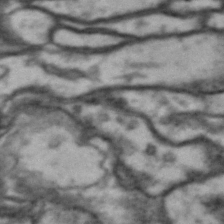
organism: Drosophila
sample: Brain